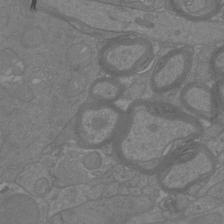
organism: Mouse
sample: Cortical neurons